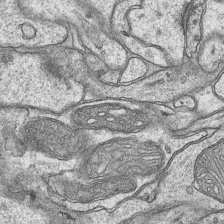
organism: Mouse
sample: CA1 Hippocampus